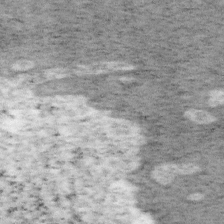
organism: Mouse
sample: OT-I killer T cells with ID8 ovarian cancer cells